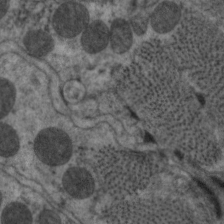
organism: C. elegans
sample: Pharynx